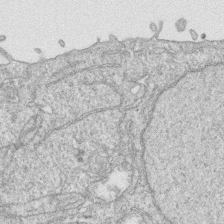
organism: Human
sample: HeLa cell HIV synapse